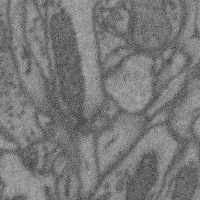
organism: Mouse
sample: Cerebral cortex